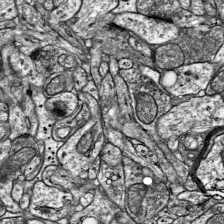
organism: Mouse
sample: Visual Cortex